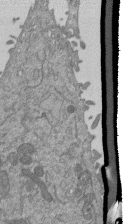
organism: Mouse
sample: ED-1 cell nuclei; centrioles